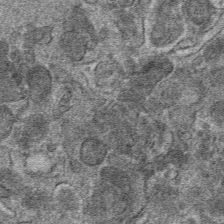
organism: Mouse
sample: Mouse hepatocytes